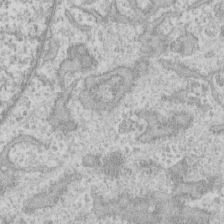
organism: Human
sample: CRL-1474